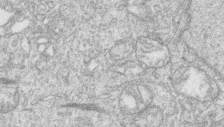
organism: Human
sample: HeLa cell HIV synapse